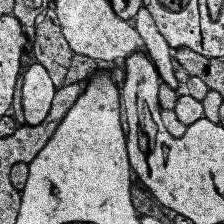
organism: Human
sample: Temporal Lobe